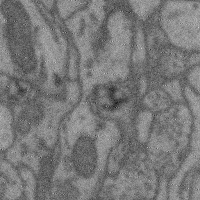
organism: Mouse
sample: Cerebral cortex